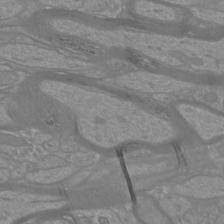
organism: Mouse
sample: Cortical neurons